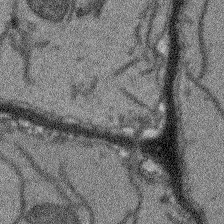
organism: Arabidopsis thaliana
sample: Root tip